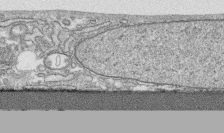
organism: Human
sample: CRL-1474